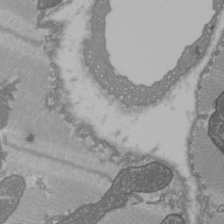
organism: C57BL Mouse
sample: Heart